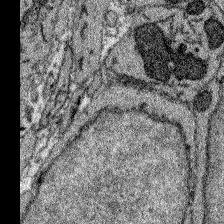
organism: Zebrafish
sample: Larval olfactory bulb